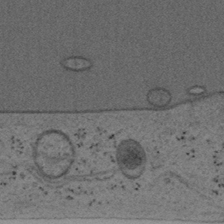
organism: Human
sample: HeLa cells